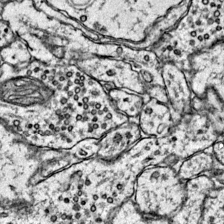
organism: Mouse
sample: Primary visual cortex